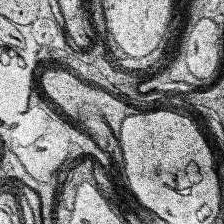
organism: Human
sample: Temporal Lobe